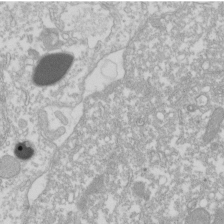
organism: Xenopus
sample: Cilia; centrioles in frog embryo cells